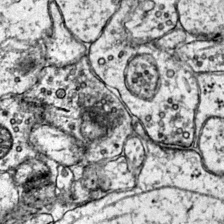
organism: Mouse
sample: Primary visual cortex